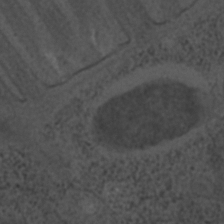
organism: C. elegans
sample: C. elegans embryo